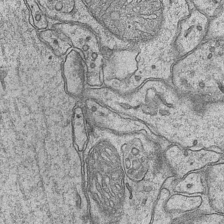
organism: Mouse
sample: CA1 Hippocampus